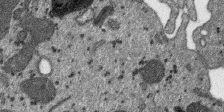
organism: Human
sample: Lung epithelial cells infected with SARS-CoV-2